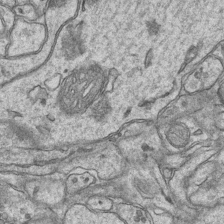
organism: Mouse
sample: CA1 Hippocampus